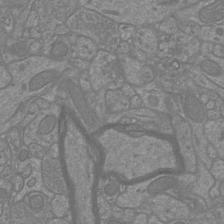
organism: Mouse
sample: Cortical neurons